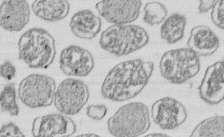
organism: E. coli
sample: Bacterial nucleoid